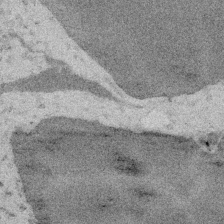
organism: Embia sp.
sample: Silk gland